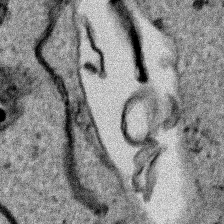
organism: Human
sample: Mitochondria in HCT116 cells